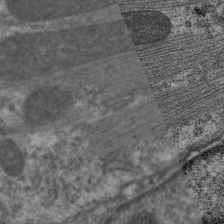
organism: C. elegans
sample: Pharynx